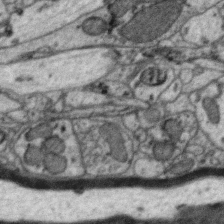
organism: Zebra finch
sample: Brain